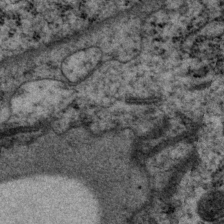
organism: P. pacificus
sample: Pharynx